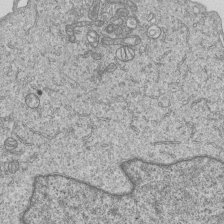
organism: Human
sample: MDA-MB-231 cells